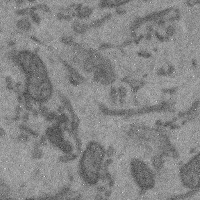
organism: Mouse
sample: Cerebral cortex